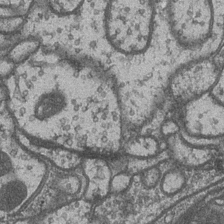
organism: Drosophila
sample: Optic medulla